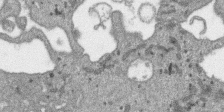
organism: Human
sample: Lung epithelial cells infected with SARS-CoV-2